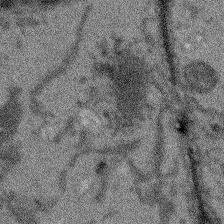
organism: Arabidopsis thaliana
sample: Root tip